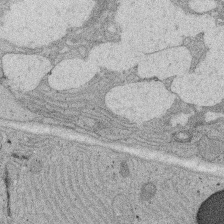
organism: Rat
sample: Salivary granule